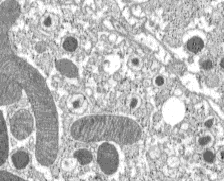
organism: C57BL Mouse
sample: Pancreatic islet